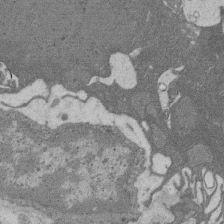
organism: Rat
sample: Salivary granule